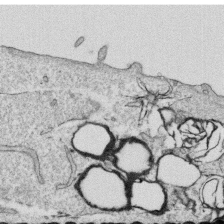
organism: Human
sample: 1205lu cells